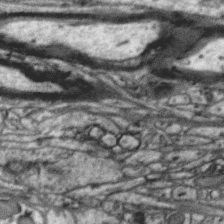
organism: Zebra finch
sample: Brain